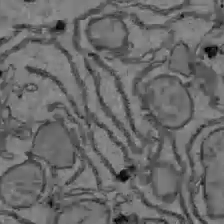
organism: C57BL Mouse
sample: Liver